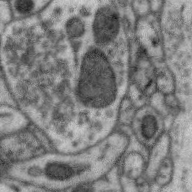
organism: Zebra finch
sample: Brain